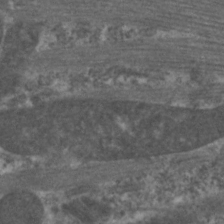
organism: C. elegans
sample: Pharynx